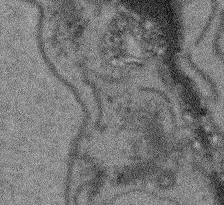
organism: Arabidopsis thaliana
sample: Root tip